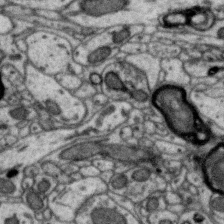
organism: Zebra finch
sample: Brain